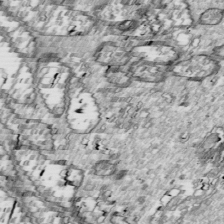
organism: Drosophila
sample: Cell division; meiosis; drosophila spermatocytes